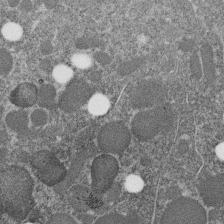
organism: C. elegans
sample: C. elegans embryo early stage